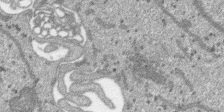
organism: Human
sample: Lung epithelial cells infected with SARS-CoV-2